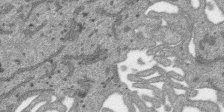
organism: Human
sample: Lung epithelial cells infected with SARS-CoV-2